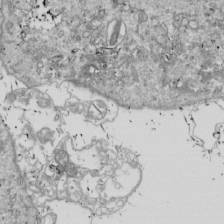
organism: Drosophila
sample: Cell division; meiosis; drosophila spermatocytes